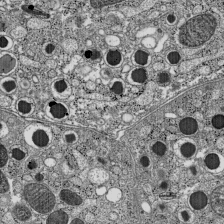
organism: C57BL Mouse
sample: Pancreatic islet